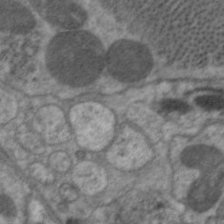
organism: C. elegans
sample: Pharynx